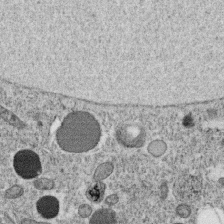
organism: C. elegans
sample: C. elegans oocyte; sperm cells